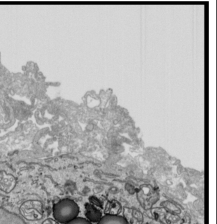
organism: Human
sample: Mitochondria in HCT116 cells